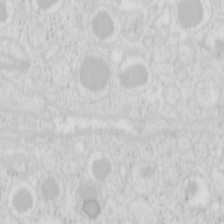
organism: Mouse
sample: Pancreas